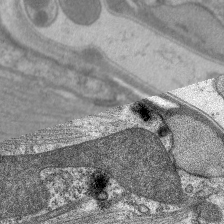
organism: C. elegans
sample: Pharynx